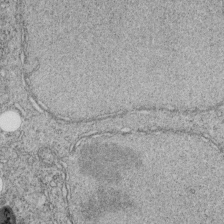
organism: C. elegans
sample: C. elegans embryo early stage